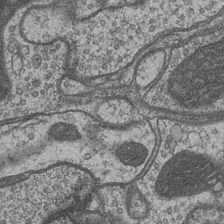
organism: Drosophila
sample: Optic medulla